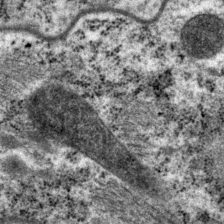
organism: P. pacificus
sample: Pharynx